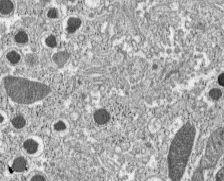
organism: C57BL Mouse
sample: Pancreatic islet